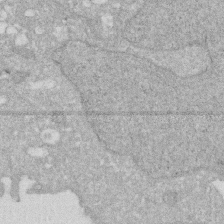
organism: Human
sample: HIV infected U937 cells